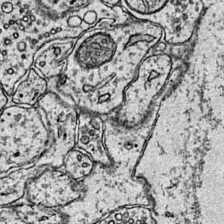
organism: Mouse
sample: Primary visual cortex